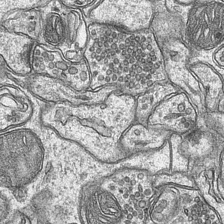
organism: Mouse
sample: CA1 Hippocampus